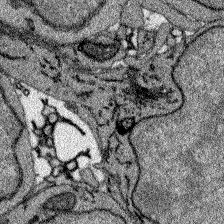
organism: Zebrafish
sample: Larval olfactory bulb